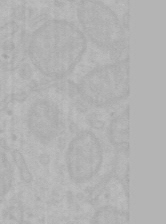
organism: Mouse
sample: Choroid plexus